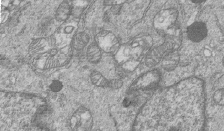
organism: Human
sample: MDA-MB-231 cells